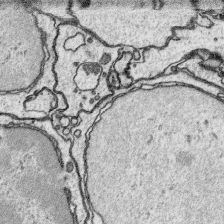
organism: Platynereis dumerilii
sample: Parapodia